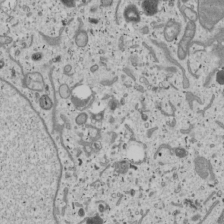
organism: Human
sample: Mitochondria in U2OS cells